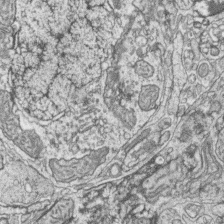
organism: Zebrafish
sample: synaptic ribbons in rod cells and cone cells